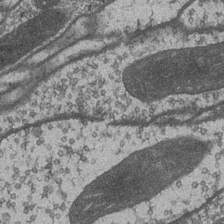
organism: Drosophila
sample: Optic medulla